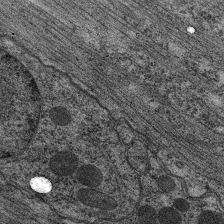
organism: C. elegans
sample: Pharynx